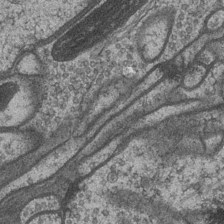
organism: Drosophila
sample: Optic medulla